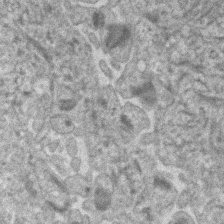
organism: Human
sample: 1205lu cells